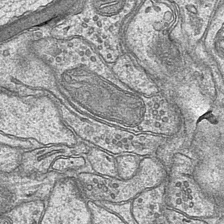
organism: Mouse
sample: CA1 Hippocampus